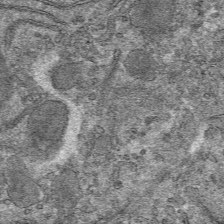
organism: Mouse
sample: Mouse hepatocytes